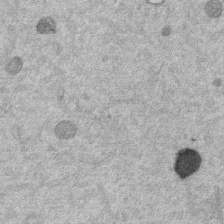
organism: Mouse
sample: Dividing mouse embryo 1 cell stage